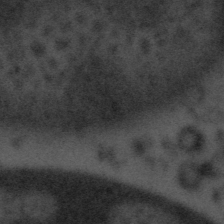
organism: Tuwongella immobilis